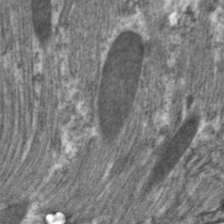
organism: C. elegans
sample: Pharynx